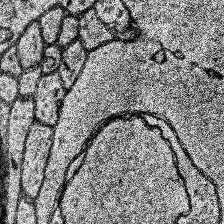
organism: Human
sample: Temporal Lobe